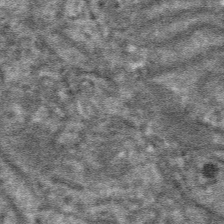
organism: Mouse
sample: Mouse hepatocytes